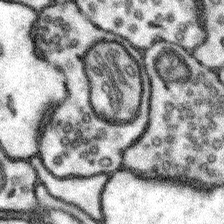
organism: Mouse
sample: Somatosensory cortex neuropil